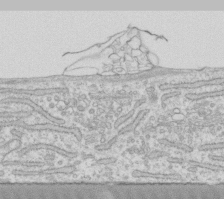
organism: Human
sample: Fibroblast cells